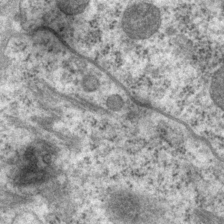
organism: P. pacificus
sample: Pharynx